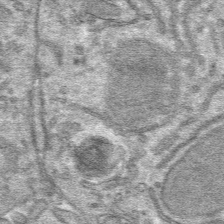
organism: Mouse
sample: Mouse hepatocytes